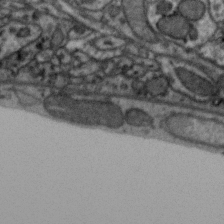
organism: Zebra finch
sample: Brain